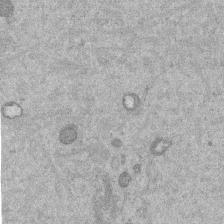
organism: Mouse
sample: Dividing mouse embryo 1 cell stage